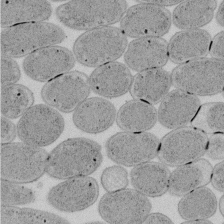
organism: E. coli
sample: Bacterial nucleoid